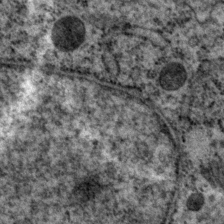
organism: P. pacificus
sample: Pharynx